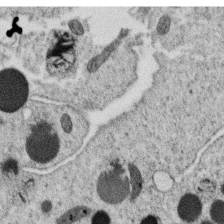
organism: C. elegans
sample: C. elegans oocyte; sperm cells